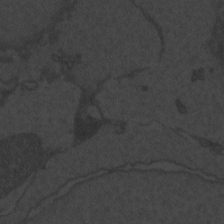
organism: Zebrafish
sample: Macrophage infected with Toxoplasma gondii